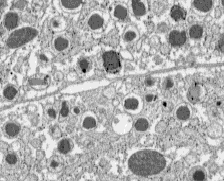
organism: C57BL Mouse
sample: Pancreatic islet